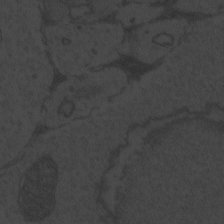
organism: Zebrafish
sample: Macrophage infected with Toxoplasma gondii